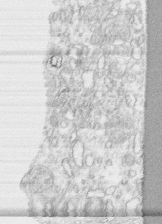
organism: Human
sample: CRL-1474